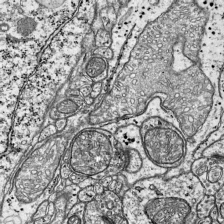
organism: Mouse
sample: Visual Cortex